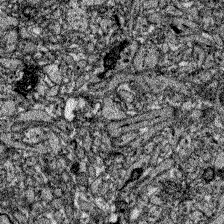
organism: Zebrafish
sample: Larval olfactory bulb